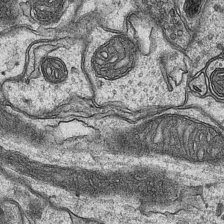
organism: Mouse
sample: CA1 Hippocampus